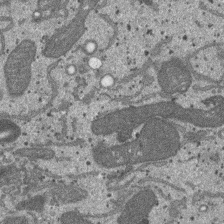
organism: Human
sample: Lung epithelial cells infected with SARS-CoV-2